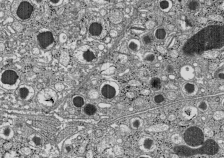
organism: C57BL Mouse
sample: Pancreatic islet